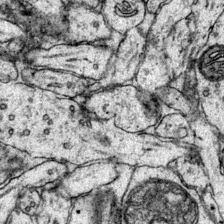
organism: Mouse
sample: Primary visual cortex